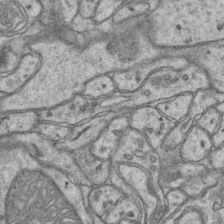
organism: Mouse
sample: CA1 Hippocampus